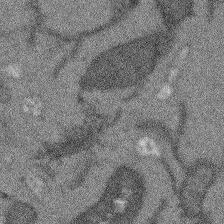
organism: Arabidopsis thaliana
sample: Root tip